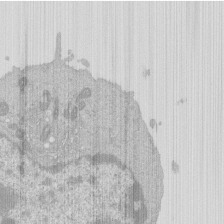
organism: Mouse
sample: Activated Pmel transgenic CD8+ T Cells